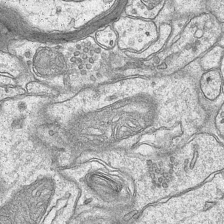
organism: Mouse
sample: CA1 Hippocampus